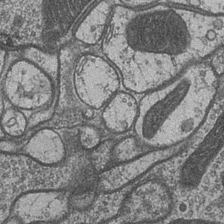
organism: Drosophila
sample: Optic medulla